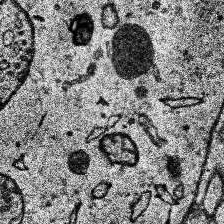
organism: Human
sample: Temporal Lobe